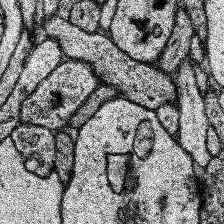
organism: Human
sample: Temporal Lobe